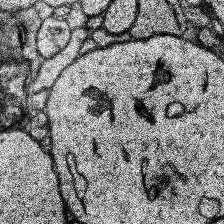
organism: Human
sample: Temporal Lobe